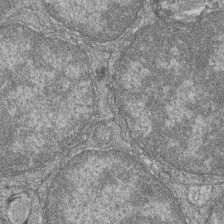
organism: Zebrafish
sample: Cilia; retinal pigment epithelium